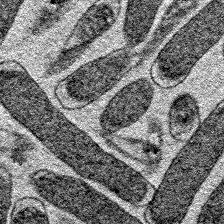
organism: E. coli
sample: E. Coli Bacteria